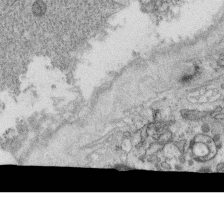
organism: C. elegans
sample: C. elegans oocyte; sperm cells